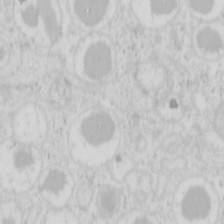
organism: Mouse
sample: Pancreas